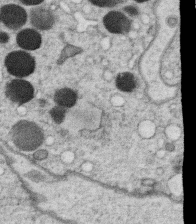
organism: C. elegans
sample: C. elegans oocyte; sperm cells